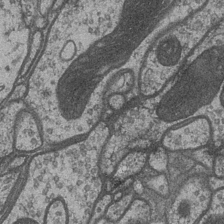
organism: Drosophila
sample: Optic medulla